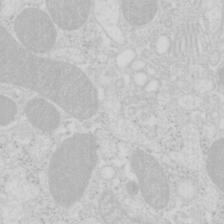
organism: Mouse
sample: Pancreas